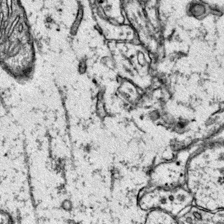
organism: Mouse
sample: Primary visual cortex